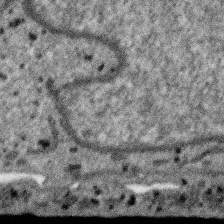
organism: Human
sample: Lung epithelial cells infected with SARS-CoV-2